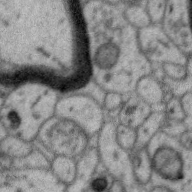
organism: Zebra finch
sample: Brain